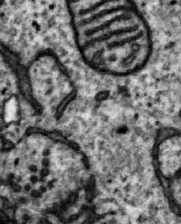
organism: Human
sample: HeLa cells